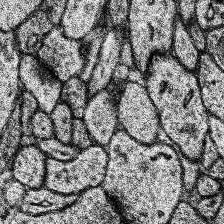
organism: Human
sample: Temporal Lobe